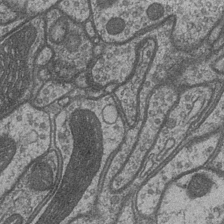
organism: Drosophila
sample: Optic medulla